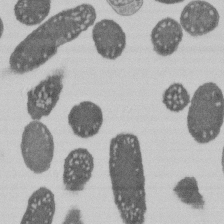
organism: E. coli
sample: Bacterial nucleoid